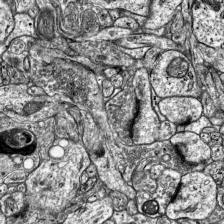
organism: Mouse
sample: Visual Cortex